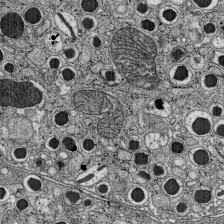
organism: C57BL Mouse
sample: Pancreatic islet